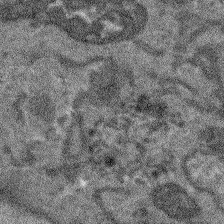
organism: Arabidopsis thaliana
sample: Root tip